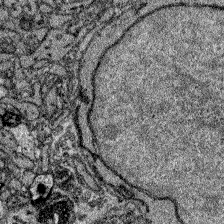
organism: Zebrafish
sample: Larval olfactory bulb